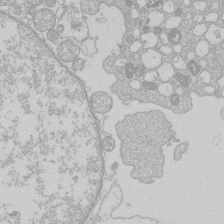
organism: Human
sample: Macrophage cells